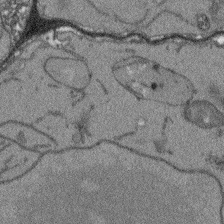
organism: Arabidopsis thaliana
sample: Root tip